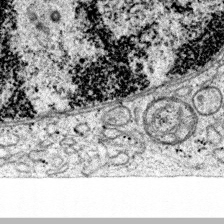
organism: Human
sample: HeLa cells